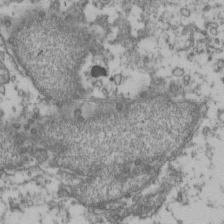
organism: Human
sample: Activated Jurkat CD4+ T cells